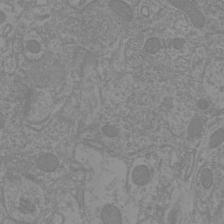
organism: Mouse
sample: Cortical neurons